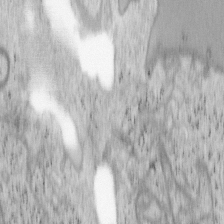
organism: Human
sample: HeLa cells